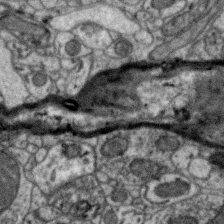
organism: Zebra finch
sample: Brain